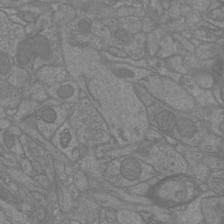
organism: Mouse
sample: Cortical neurons